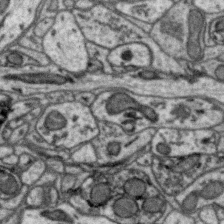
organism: Zebra finch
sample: Brain